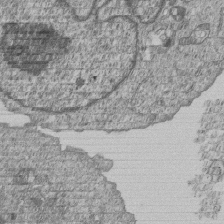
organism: Human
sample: MDA-MB-231 cells